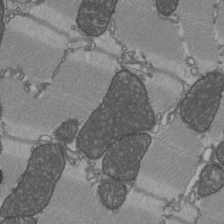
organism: C57BL Mouse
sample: Heart